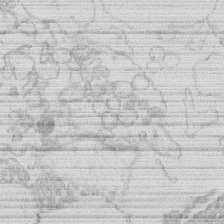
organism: Human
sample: Macrophage cells